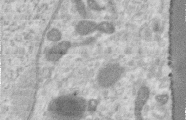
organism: Human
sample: Centriole in RPE cells